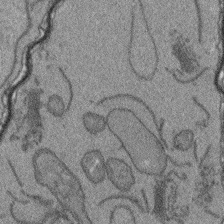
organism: Arabidopsis thaliana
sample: Root tip